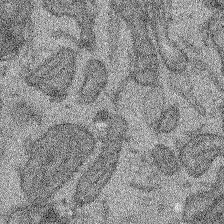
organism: Human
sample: HeLa cells